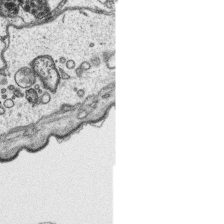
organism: Platynereis dumerilii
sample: Parapodia